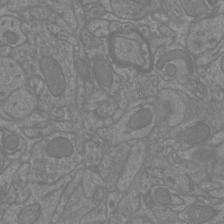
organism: Mouse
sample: Cortical neurons